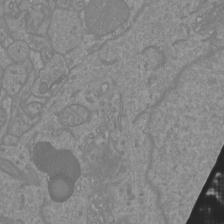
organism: Mouse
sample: Cortical neurons